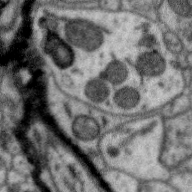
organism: Zebra finch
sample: Brain